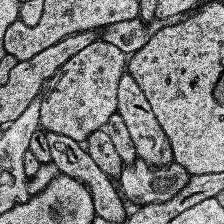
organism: Human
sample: Temporal Lobe